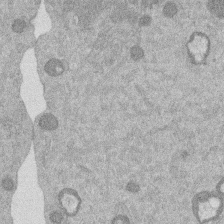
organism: Mouse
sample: Dividing mouse embryo 1 cell stage